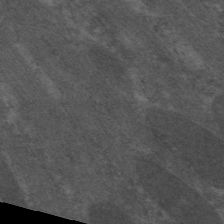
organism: C. elegans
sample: Pharynx